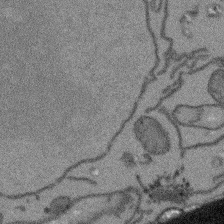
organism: Arabidopsis thaliana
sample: Root tip